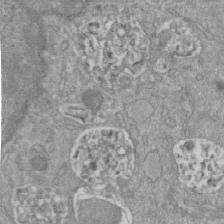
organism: Mouse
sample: ED-1 cell nuclei; centrioles